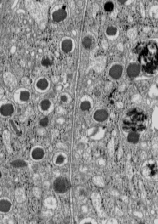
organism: C57BL Mouse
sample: Pancreatic islet